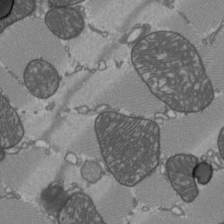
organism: C57BL Mouse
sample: Heart